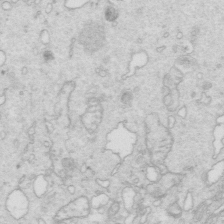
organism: Mouse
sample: Multiciliated cells